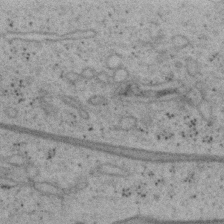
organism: Human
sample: HeLa cells